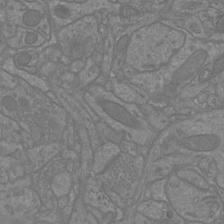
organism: Mouse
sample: Cortical neurons